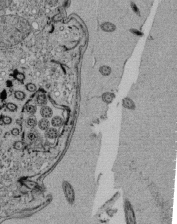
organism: Tetrahymena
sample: Cilia in tetrahymena